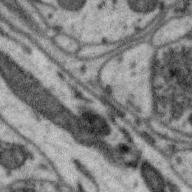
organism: Zebra finch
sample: Brain